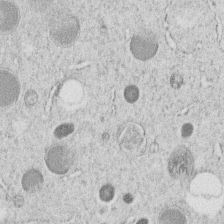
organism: C. elegans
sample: C. elegans embryo early stage